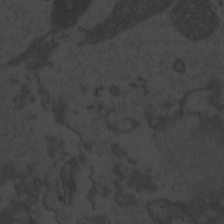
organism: Zebrafish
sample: Macrophage infected with Toxoplasma gondii